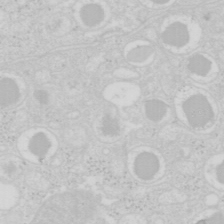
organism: Mouse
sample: Pancreas